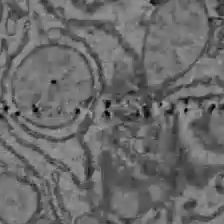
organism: C57BL Mouse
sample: Liver